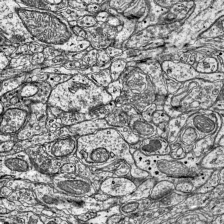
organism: Mouse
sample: Visual Cortex